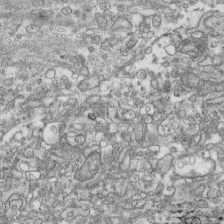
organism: Human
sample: CRL-1474